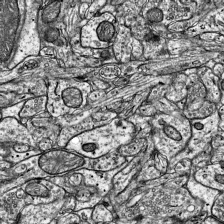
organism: Mouse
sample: Visual Cortex